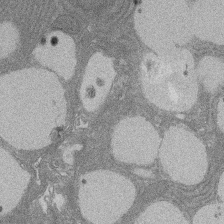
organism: Rat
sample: Salivary granule